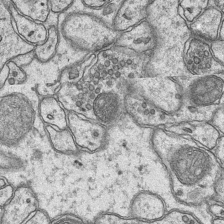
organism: Mouse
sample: CA1 Hippocampus